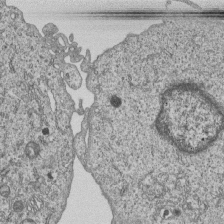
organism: Human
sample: MDA-MB-231 cells